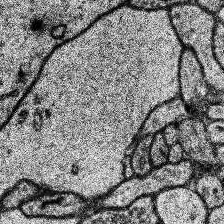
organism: Human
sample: Temporal Lobe